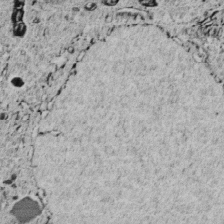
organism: C. elegans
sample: C. elegans embryo early stage